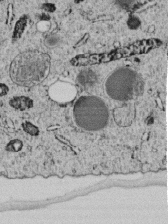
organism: C. elegans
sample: C. elegans embryo early stage